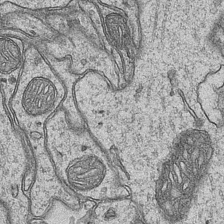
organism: Mouse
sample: CA1 Hippocampus